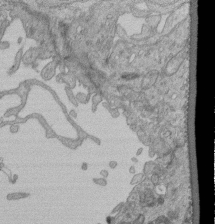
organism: Human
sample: Retinal organoid Rod and Cone cells